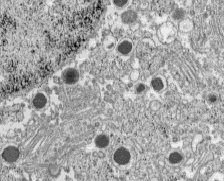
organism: C57BL Mouse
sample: Pancreatic islet